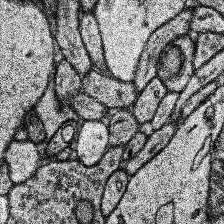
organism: Human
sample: Temporal Lobe